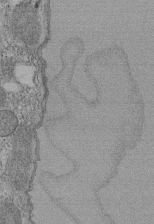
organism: Tetrahymena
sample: Cilia in tetrahymena